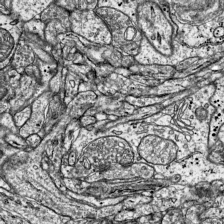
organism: Mouse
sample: Visual Cortex